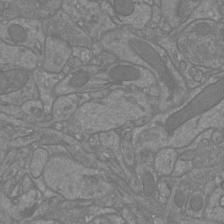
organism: Mouse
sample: Cortical neurons